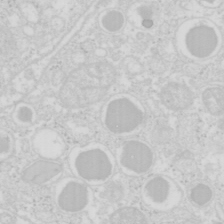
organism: Mouse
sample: Pancreas